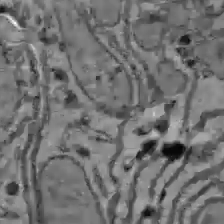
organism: C57BL Mouse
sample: Liver